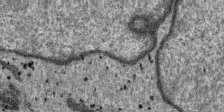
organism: Human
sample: Lung epithelial cells, uninfected (mock) control